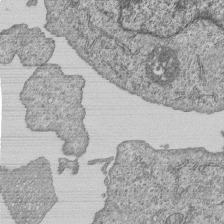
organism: Human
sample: MDA-MB-231 cells